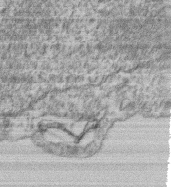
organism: Mouse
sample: T cell stromal cell synapse